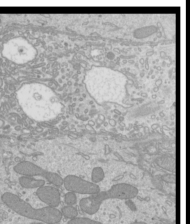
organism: Mouse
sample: Cilia; mouse epididymis